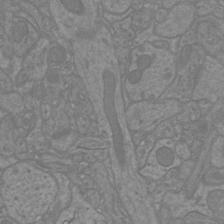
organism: Mouse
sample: Cortical neurons